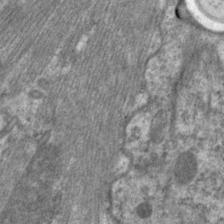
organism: C. elegans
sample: Pharynx